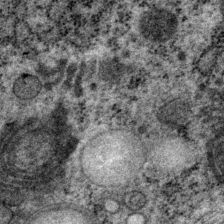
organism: P. pacificus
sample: Pharynx